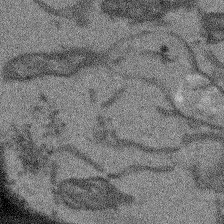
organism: Arabidopsis thaliana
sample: Root tip